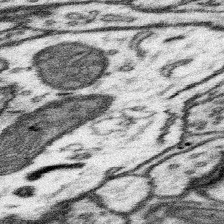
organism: Mouse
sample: Somatosensory cortex neuropil